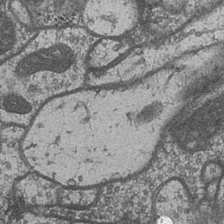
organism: Drosophila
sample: Optic medulla